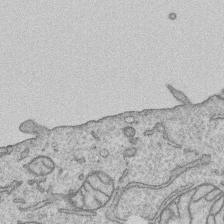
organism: Human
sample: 1205lu cells